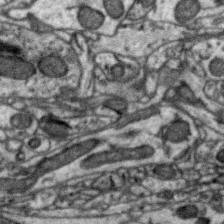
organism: Zebra finch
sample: Brain